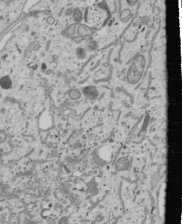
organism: Human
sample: Mitochondria in U2OS cells